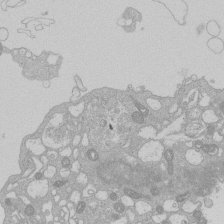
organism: Human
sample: Macrophage cells